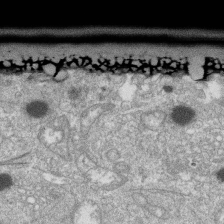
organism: Human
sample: HeLa cell HIV synapse